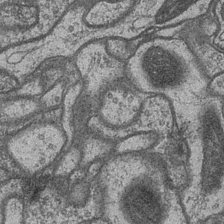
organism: Drosophila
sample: Optic medulla